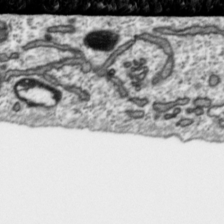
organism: Toxoplasma gondii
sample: Parasites in a vacuole inside a host cell